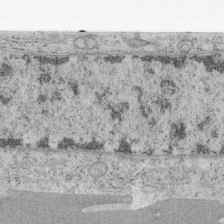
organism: Human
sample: HeLa cells